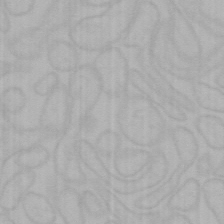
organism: Mouse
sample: Choroid plexus